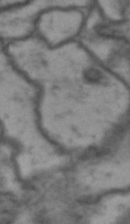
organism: Drosophila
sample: Brain